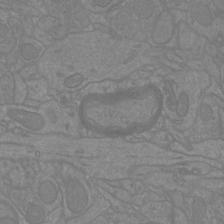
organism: Mouse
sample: Cortical neurons